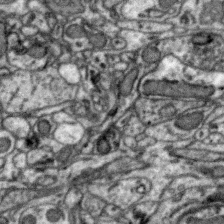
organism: Zebra finch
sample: Brain